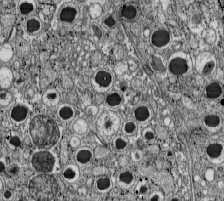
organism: C57BL Mouse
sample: Pancreatic islet